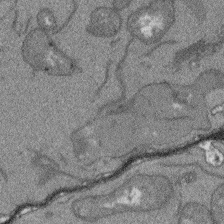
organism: Arabidopsis thaliana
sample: Root tip